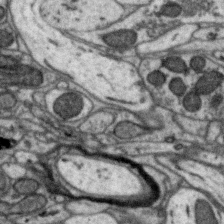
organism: Zebra finch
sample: Brain